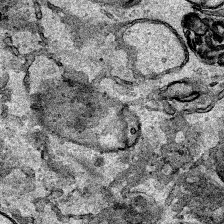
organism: Human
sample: Mitochondria in HCT116 cells